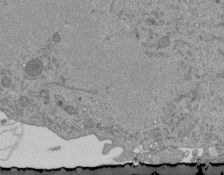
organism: Mouse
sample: ED-1 cell nuclei; centrioles